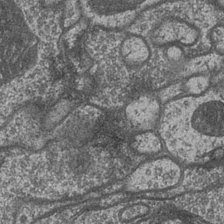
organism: Drosophila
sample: Optic medulla